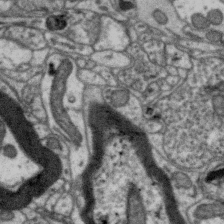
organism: Zebra finch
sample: Brain